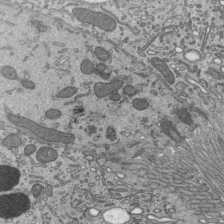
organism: Mouse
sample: Mouse epididymis efferent ductule cilia